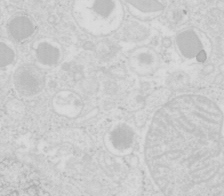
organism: Mouse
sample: Pancreas